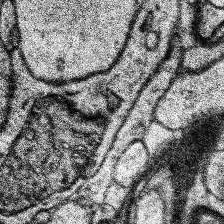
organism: Human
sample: Temporal Lobe